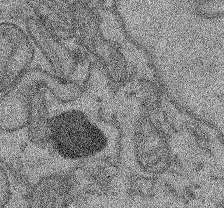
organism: Human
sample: HeLa cells